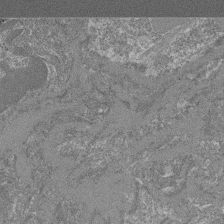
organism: Mouse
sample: Glomerulus